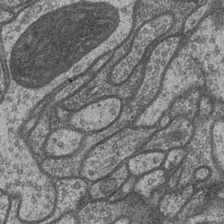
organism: Drosophila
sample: Optic medulla